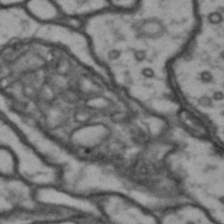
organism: Drosophila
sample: Brain